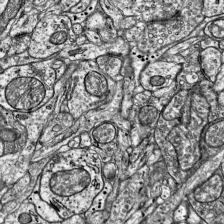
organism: Mouse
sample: Visual Cortex